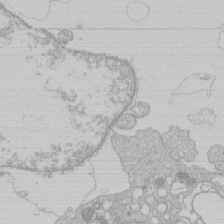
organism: Human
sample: Macrophage cells